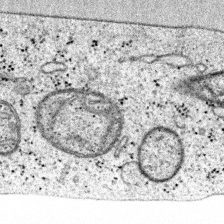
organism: Human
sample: HeLa cells